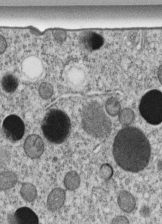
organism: C. elegans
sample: C. elegans embryo early stage